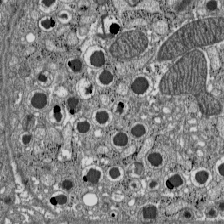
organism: C57BL Mouse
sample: Pancreatic islet